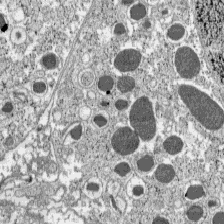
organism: C57BL Mouse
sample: Pancreatic islet